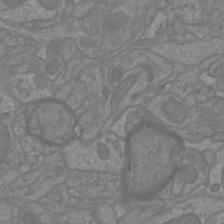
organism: Mouse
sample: Cortical neurons